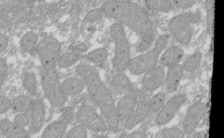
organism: Xenopus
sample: Cilia; centrioles in frog embryo cells